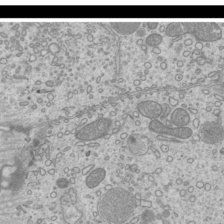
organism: Mouse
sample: Cilia; mouse epididymis